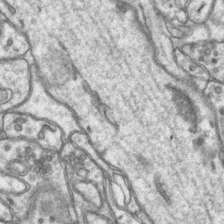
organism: Mouse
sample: CA1 Hippocampus